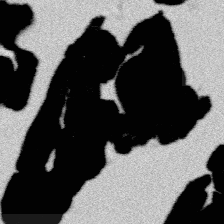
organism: Platynereis dumerilii